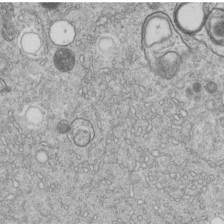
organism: C. elegans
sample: C. elegans embryo early stage